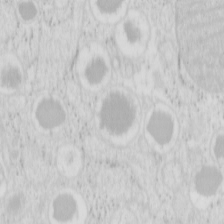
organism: Mouse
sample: Pancreas